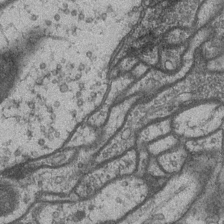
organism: Drosophila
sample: Optic medulla